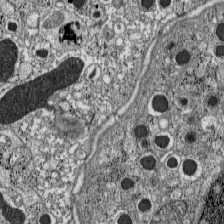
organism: C57BL Mouse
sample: Pancreatic islet